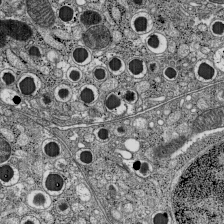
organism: C57BL Mouse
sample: Pancreatic islet